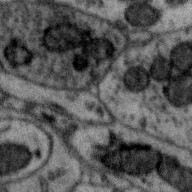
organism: Zebra finch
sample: Brain